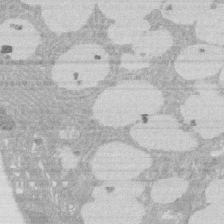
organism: Rat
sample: Salivary granule